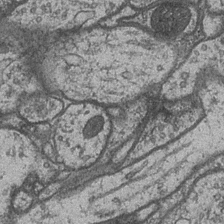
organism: Drosophila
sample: Optic medulla